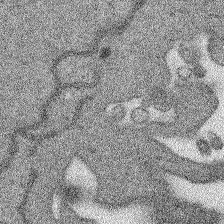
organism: Human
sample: HeLa cells